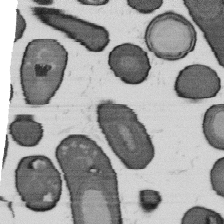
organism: B. subtilis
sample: Bacterial spore